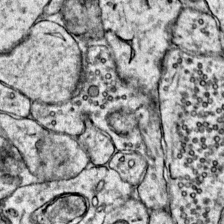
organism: Mouse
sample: Primary visual cortex